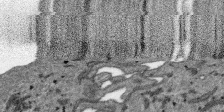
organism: Human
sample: Lung epithelial cells, uninfected (mock) control